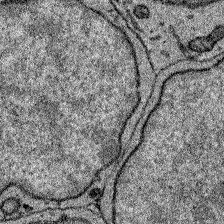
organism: Zebrafish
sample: Larval olfactory bulb